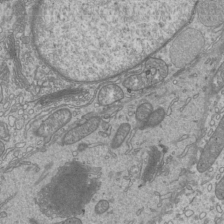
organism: Mouse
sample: Cilia; mouse epididymis